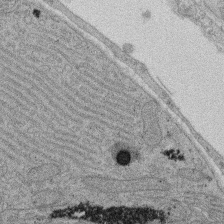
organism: Rat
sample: Salivary granule